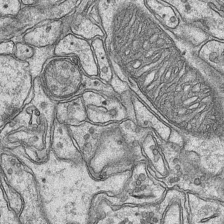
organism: Mouse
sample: CA1 Hippocampus